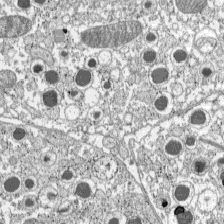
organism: C57BL Mouse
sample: Pancreatic islet